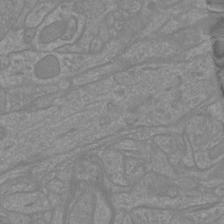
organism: Mouse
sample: Cortical neurons